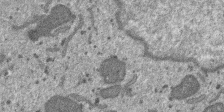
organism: Human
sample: Lung epithelial cells infected with SARS-CoV-2